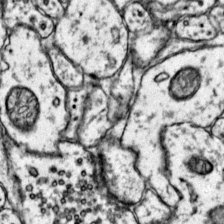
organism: Mouse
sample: Primary visual cortex